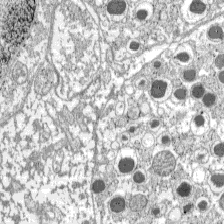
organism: C57BL Mouse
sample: Pancreatic islet